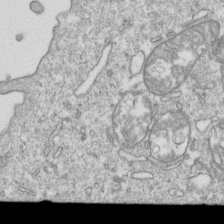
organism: Mouse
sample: Activated OT-1 CD8+ T cells